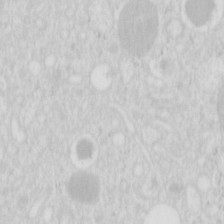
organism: Mouse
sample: Pancreas